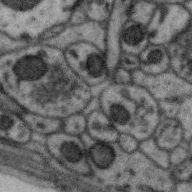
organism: Zebra finch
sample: Brain